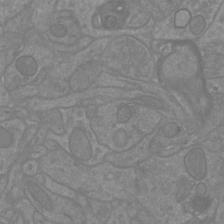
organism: Mouse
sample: Cortical neurons